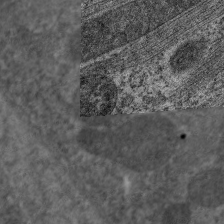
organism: C. elegans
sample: Pharynx